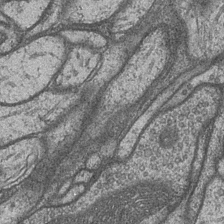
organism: Drosophila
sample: Optic medulla